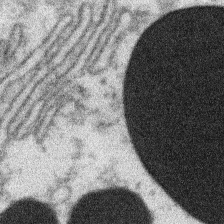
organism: Xenopus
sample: Cilia; centrioles in frog embryo cells